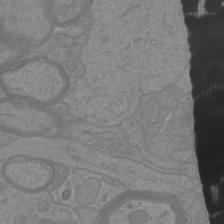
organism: Mouse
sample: Cortical neurons